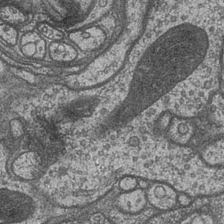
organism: Drosophila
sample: Optic medulla